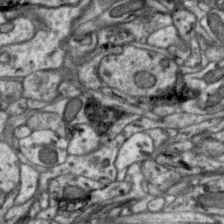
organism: Zebra finch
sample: Brain